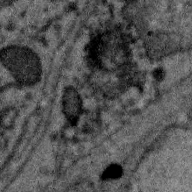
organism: Zebra finch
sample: Brain